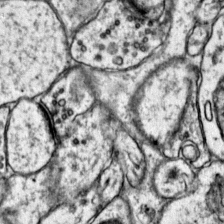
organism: Mouse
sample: Primary visual cortex